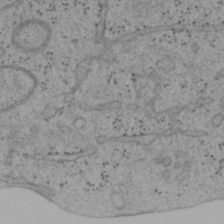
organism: Human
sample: HeLa cells